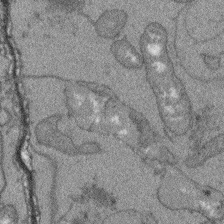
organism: Arabidopsis thaliana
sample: Root tip